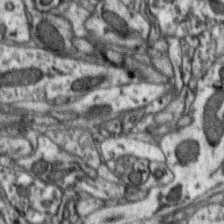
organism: Zebra finch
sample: Brain